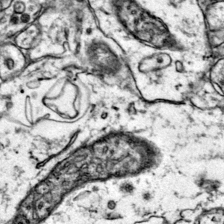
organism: Mouse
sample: Primary visual cortex